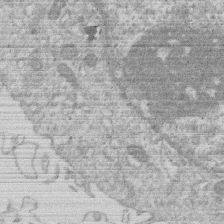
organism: Human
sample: Macrophage cells